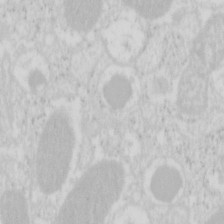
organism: Mouse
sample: Pancreas